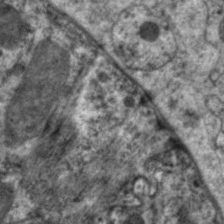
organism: C. elegans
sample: Pharynx